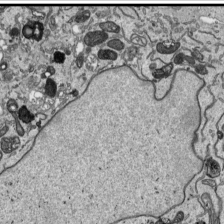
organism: Human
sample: Mitochondria in HCT116 cells